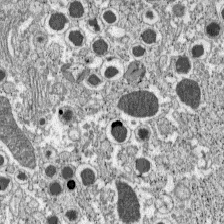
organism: C57BL Mouse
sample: Pancreatic islet